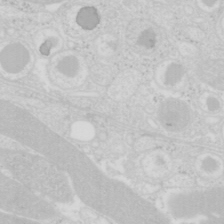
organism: Mouse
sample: Pancreas